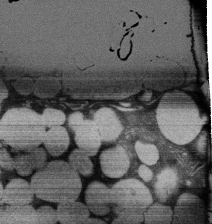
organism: Rat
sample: Salivary granule